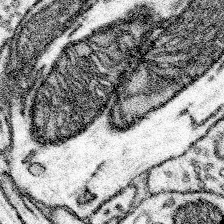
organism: Mouse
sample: Somatosensory cortex neuropil